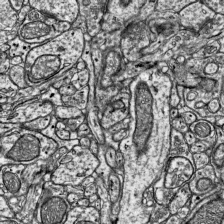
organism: Mouse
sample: Visual Cortex